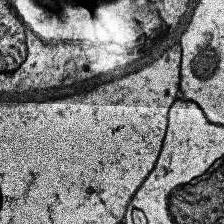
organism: Human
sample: Temporal Lobe